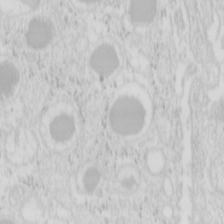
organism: Mouse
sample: Pancreas